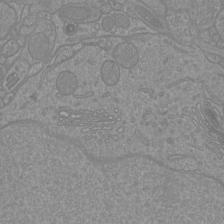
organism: Mouse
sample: Cortical neurons